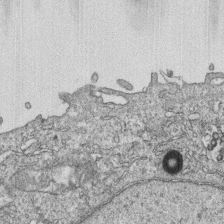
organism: Human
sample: HeLa cell HIV synapse